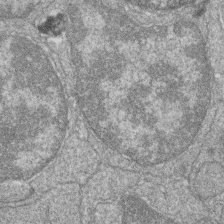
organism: Zebrafish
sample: Cilia; retinal pigment epithelium